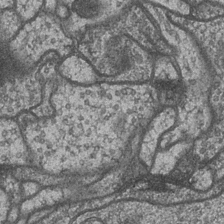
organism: Drosophila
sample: Optic medulla